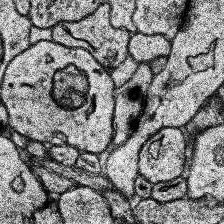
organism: Human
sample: Temporal Lobe